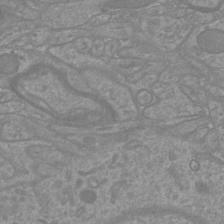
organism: Mouse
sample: Cortical neurons